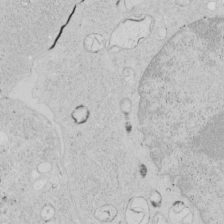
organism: Human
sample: Mitochondria in HCT116 cells